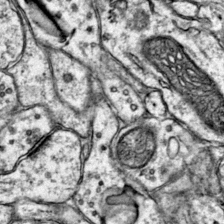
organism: Mouse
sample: Primary visual cortex